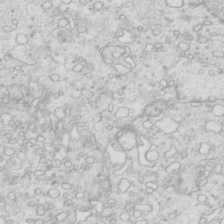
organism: Mouse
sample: Multiciliated cells